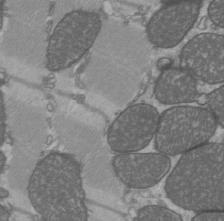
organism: C57BL Mouse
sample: Heart